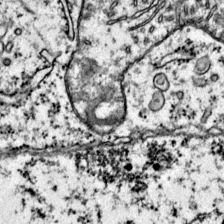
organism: Mouse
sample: Primary visual cortex